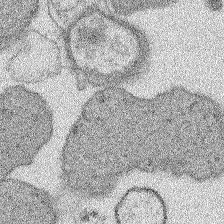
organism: Human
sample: HeLa cells